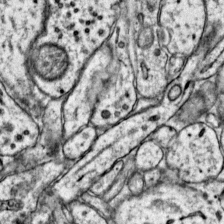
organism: Mouse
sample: Primary visual cortex